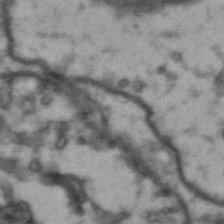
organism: Drosophila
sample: Brain